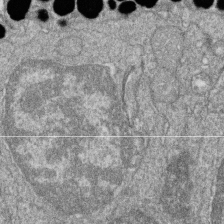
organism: Zebrafish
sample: Cilia; retinal pigment epithelium